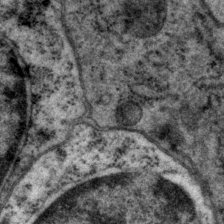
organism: P. pacificus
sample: Pharynx